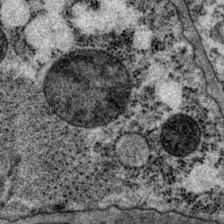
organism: P. pacificus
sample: Pharynx